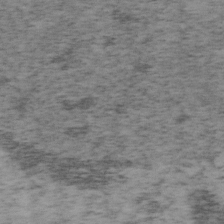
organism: Mouse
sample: OT-I killer T cells with ID8 ovarian cancer cells